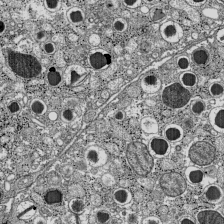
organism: C57BL Mouse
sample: Pancreatic islet